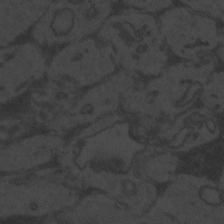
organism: Zebrafish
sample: Macrophage infected with Toxoplasma gondii